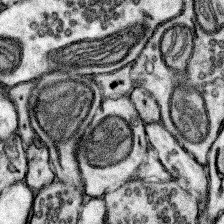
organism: Mouse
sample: Somatosensory cortex neuropil